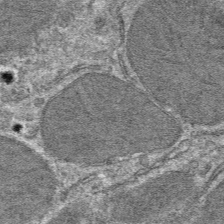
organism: Mouse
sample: Mouse hepatocytes